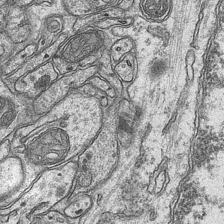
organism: Mouse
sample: CA1 Hippocampus